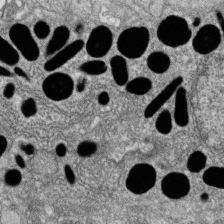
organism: Zebrafish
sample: Cilia; retinal pigment epithelium